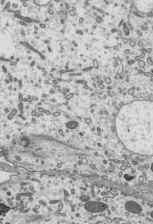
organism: Mouse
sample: Mouse epididymis efferent ductule cilia